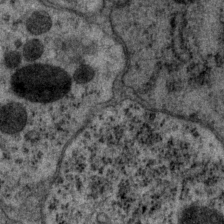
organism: P. pacificus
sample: Pharynx